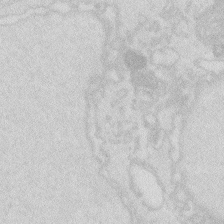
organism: Zebrafish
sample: Macrophage